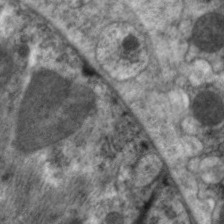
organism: C. elegans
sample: Pharynx